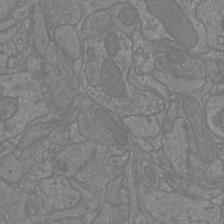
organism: Mouse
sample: Cortical neurons